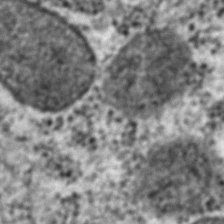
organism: C. elegans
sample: C. elegans embryo